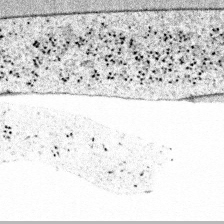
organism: Human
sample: HeLa cells